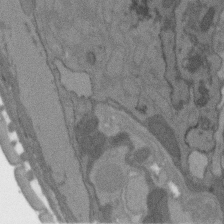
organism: C. elegans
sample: AFD neurons C. elegans